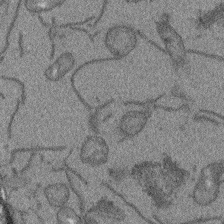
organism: Arabidopsis thaliana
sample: Root tip